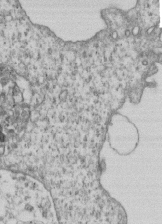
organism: Human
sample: MDA-MB-231 cells